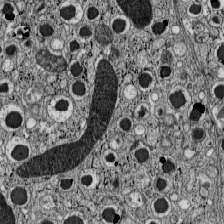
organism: C57BL Mouse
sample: Pancreatic islet